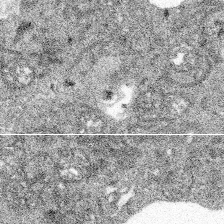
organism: Spongilla lacustris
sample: Multiple